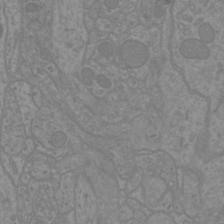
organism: Mouse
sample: Cortical neurons